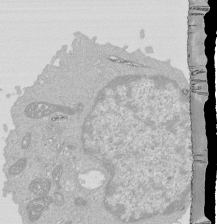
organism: Mouse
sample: Activated Pmel transgenic CD8+ T Cells